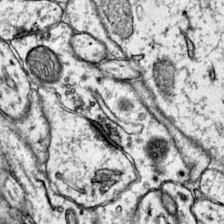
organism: Mouse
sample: Primary visual cortex